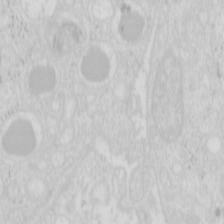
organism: Mouse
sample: Pancreas